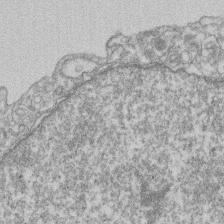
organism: Mouse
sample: T cell stromal cell synapse